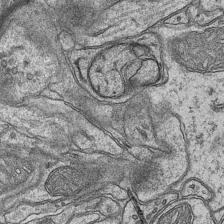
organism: Mouse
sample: CA1 Hippocampus